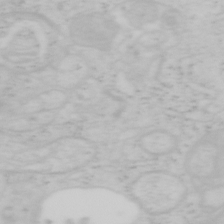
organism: Mouse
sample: OT-I killer T cells with ID8 ovarian cancer cells